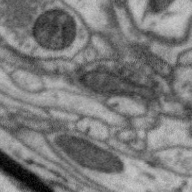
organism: Zebra finch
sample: Brain